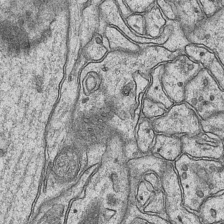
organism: Mouse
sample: CA1 Hippocampus